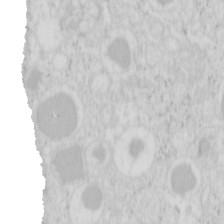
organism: Mouse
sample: Pancreas